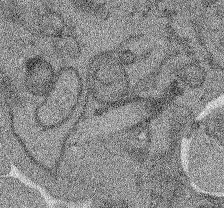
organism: Human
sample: HeLa cells